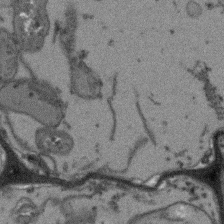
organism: Arabidopsis thaliana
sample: Root tip